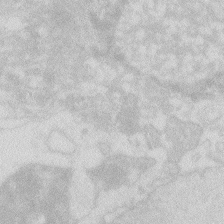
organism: Zebrafish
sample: Macrophage